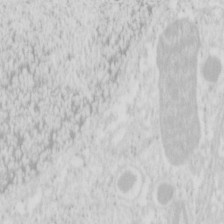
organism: Mouse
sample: Pancreas